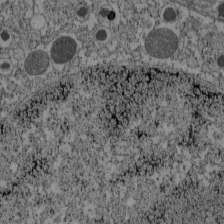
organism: C57BL Mouse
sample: Pancreatic islet